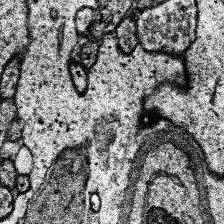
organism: Human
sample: Temporal Lobe